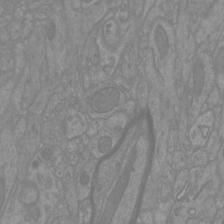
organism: Mouse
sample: Cortical neurons